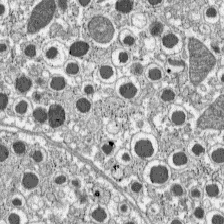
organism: C57BL Mouse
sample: Pancreatic islet